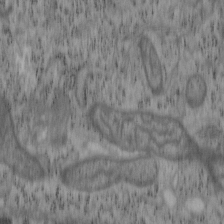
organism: Human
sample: HeLa cells